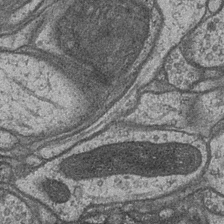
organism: Drosophila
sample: Optic medulla